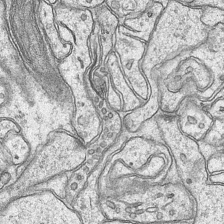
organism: Mouse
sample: CA1 Hippocampus